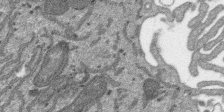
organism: Human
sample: Lung epithelial cells infected with SARS-CoV-2